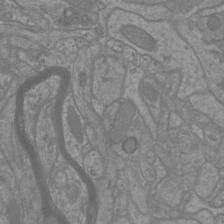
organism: Mouse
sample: Cortical neurons